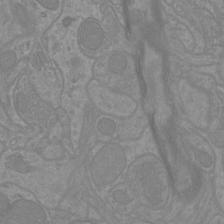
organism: Mouse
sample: Cortical neurons